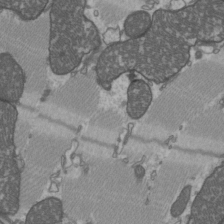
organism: C57BL Mouse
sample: Heart